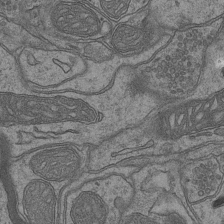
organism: Mouse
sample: CA1 Hippocampus